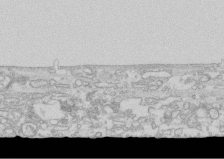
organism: Human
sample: CRL-1474